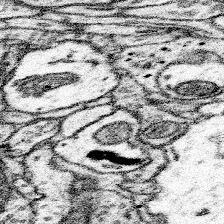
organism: Mouse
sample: Somatosensory cortex neuropil